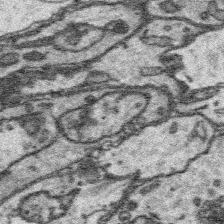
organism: Platynereis dumerilii